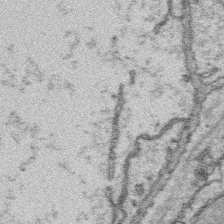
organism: Platynereis dumerilii